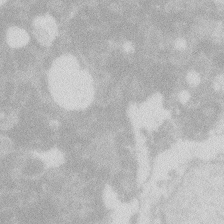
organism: Zebrafish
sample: Macrophage